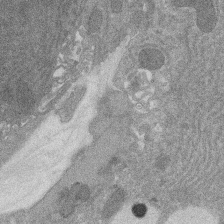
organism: Rat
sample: Salivary granule